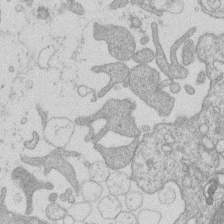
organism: Human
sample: Macrophage cells